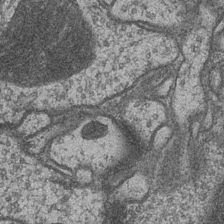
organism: Drosophila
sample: Optic medulla